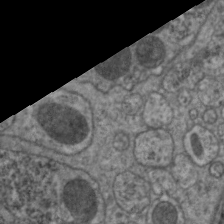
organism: C. elegans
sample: Pharynx